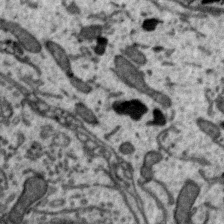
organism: Zebra finch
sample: Brain